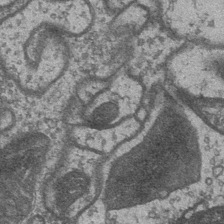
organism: Drosophila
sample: Optic medulla